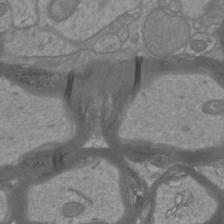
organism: Mouse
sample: Cortical neurons